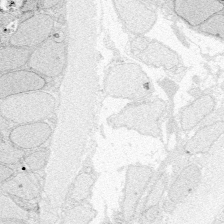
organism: Zebrafish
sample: Whole-Brain